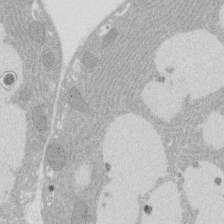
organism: Rat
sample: Salivary granule